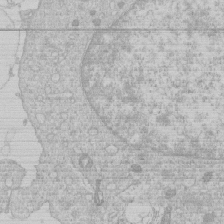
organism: Human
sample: Macrophage cells